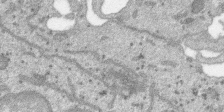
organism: Human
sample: Lung epithelial cells infected with SARS-CoV-2